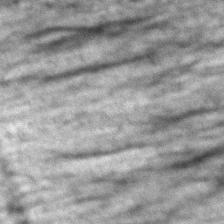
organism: Zebrafish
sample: Zebrafish embryo